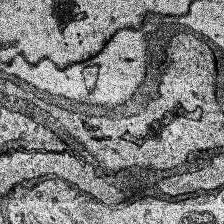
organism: Human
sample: Temporal Lobe